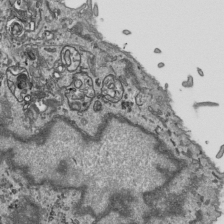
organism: Human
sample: Mitochondria in HCT116 cells